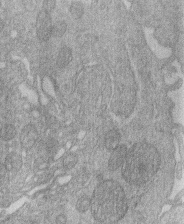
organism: Human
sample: Macrophage cells